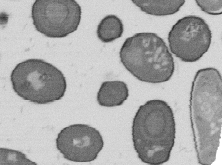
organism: B. subtilis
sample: Bacterial spore